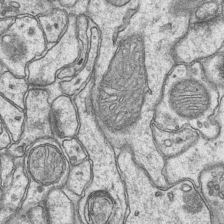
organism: Mouse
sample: CA1 Hippocampus